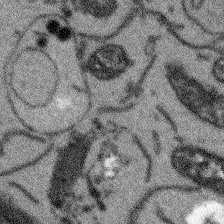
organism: Arabidopsis thaliana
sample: Root tip